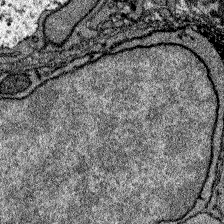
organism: Zebrafish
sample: Larval olfactory bulb